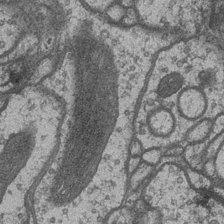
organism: Drosophila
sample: Optic medulla